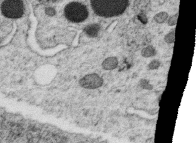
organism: C. elegans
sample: C. elegans oocyte; sperm cells